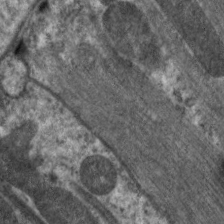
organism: C. elegans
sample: Pharynx